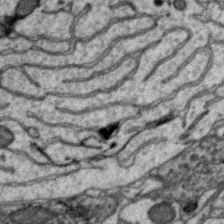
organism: Zebra finch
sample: Brain